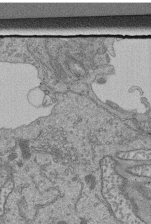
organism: Human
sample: Retinal organoid Rod and Cone cells